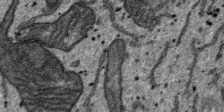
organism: Human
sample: Lung epithelial cells, uninfected (mock) control